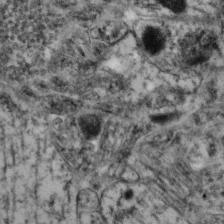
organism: Mouse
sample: Neocortex